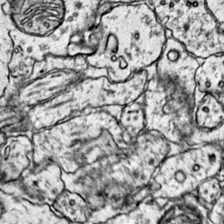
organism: Mouse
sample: Primary visual cortex